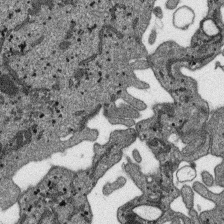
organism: Human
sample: Lung epithelial cells infected with SARS-CoV-2